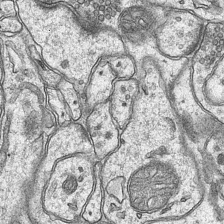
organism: Mouse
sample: CA1 Hippocampus